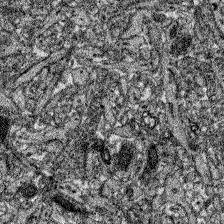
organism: Zebrafish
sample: Larval olfactory bulb